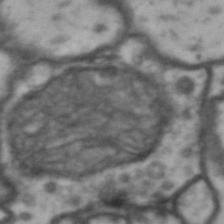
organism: Drosophila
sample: Brain